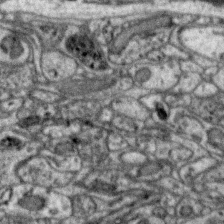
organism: Zebra finch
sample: Brain